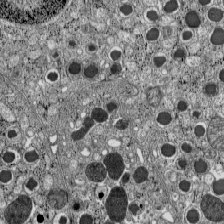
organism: C57BL Mouse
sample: Pancreatic islet